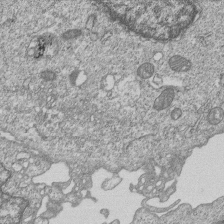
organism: Human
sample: MDA-MB-231 cells